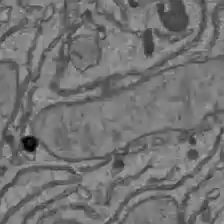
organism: C57BL Mouse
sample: Liver